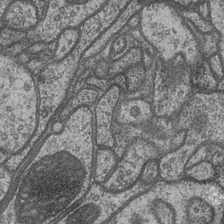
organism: Drosophila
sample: Optic medulla